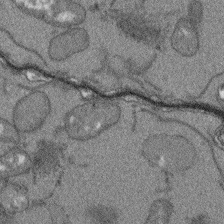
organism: Arabidopsis thaliana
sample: Root tip